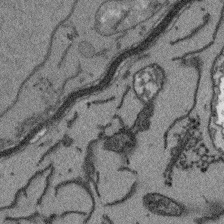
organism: Arabidopsis thaliana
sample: Root tip